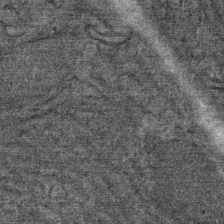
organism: Mouse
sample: Mouse Salivary gland